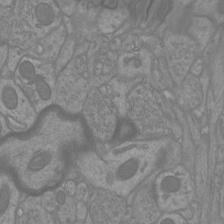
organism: Mouse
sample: Cortical neurons